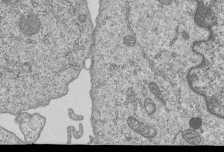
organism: Human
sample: MDA-MB-231 cells